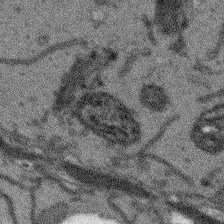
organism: Arabidopsis thaliana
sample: Root tip